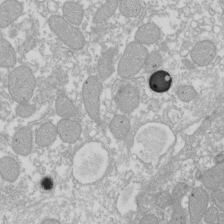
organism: Xenopus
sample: Cilia; centrioles in frog embryo cells